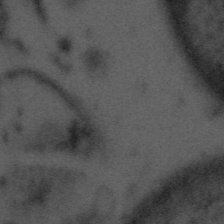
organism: Tuwongella immobilis